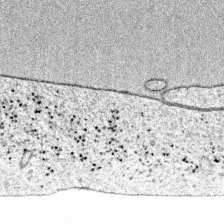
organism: Human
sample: HeLa cells